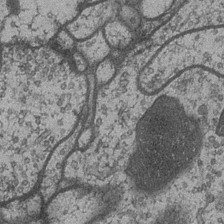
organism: Drosophila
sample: Optic medulla